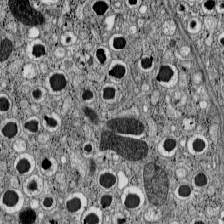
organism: C57BL Mouse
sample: Pancreatic islet